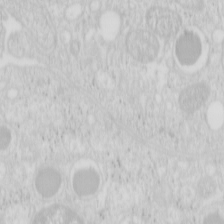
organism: Mouse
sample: Pancreas